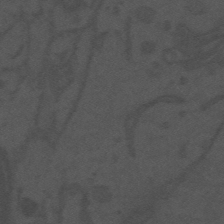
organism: Mouse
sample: Suprachiasmatic nucleus